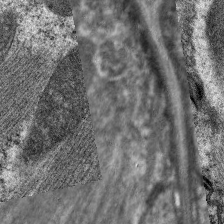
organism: C. elegans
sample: Pharynx